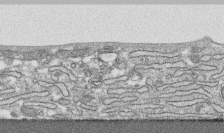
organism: Human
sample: CRL-1474